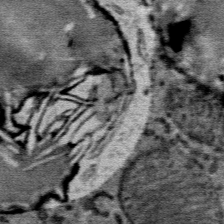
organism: Mouse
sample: Mouse Salivary gland